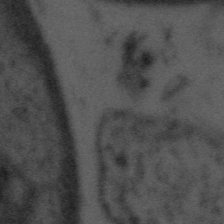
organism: Tuwongella immobilis